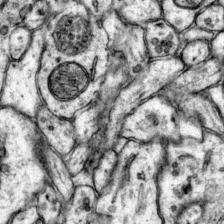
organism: Mouse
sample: Primary visual cortex